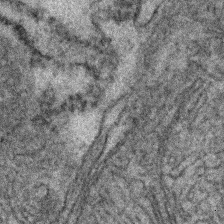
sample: Kidney